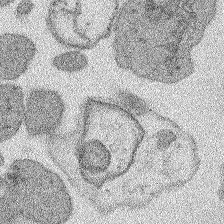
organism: Human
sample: HeLa cells